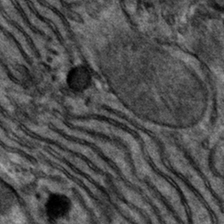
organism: Mouse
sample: Mouse hepatocytes